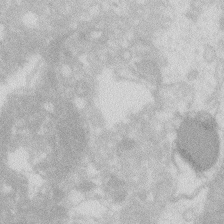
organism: Zebrafish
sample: Macrophage